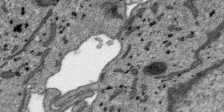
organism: Human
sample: Lung epithelial cells, uninfected (mock) control